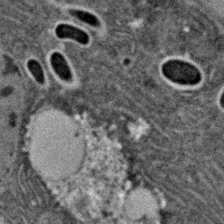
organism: C. elegans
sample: C. elegans embryo